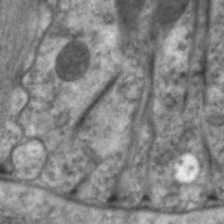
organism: C. elegans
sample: Pharynx